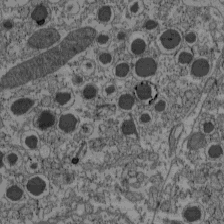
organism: C57BL Mouse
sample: Pancreatic islet